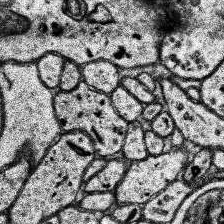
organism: Human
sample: Temporal Lobe